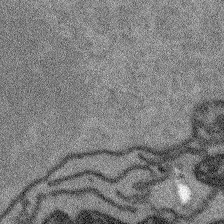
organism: Arabidopsis thaliana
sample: Root tip